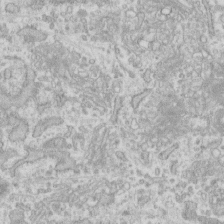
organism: Human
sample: Fibroblast cells